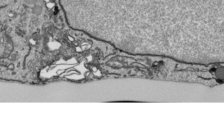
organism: Human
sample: Mitochondria in HCT116 cells